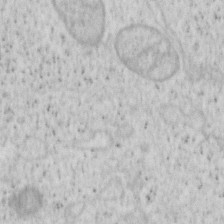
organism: Human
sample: HeLa cells